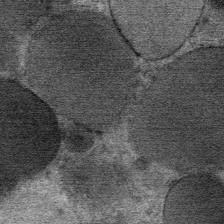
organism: Mouse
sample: Mouse Salivary gland